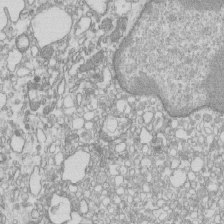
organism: Mouse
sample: Macrophages